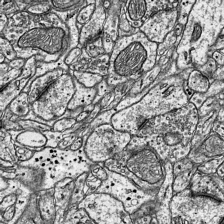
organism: Mouse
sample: Visual Cortex